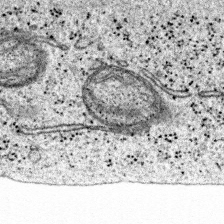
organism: Human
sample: HeLa cells